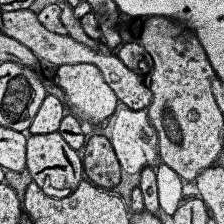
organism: Human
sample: Temporal Lobe